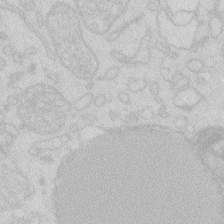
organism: Zebrafish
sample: Macrophage